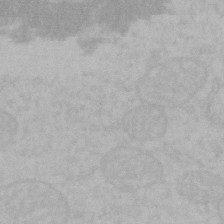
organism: Mouse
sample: Choroid plexus